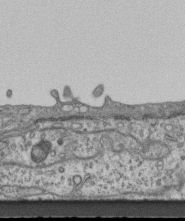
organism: Mouse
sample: Centriole in ependymal cells